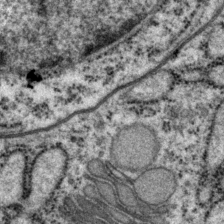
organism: P. pacificus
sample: Pharynx